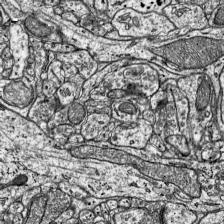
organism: Mouse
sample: Visual Cortex